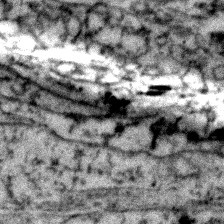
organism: Zebrafish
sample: Zebrafish embryo